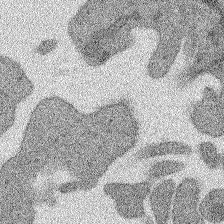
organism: Human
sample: HeLa cells